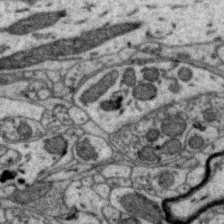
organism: Zebra finch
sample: Brain